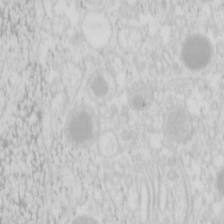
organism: Mouse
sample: Pancreas